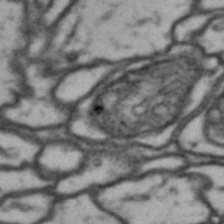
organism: Drosophila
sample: Brain